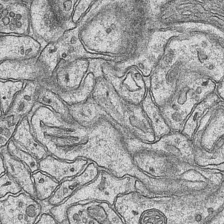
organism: Mouse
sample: CA1 Hippocampus